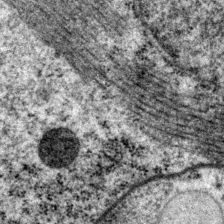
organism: P. pacificus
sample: Pharynx